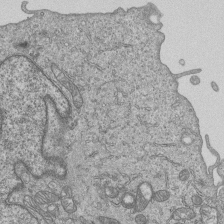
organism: Human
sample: MDA-MB-231 cells